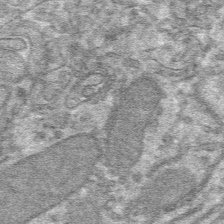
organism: Mouse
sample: Mouse hepatocytes